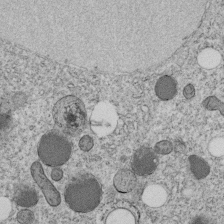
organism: C. elegans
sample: C. elegans embryo early stage